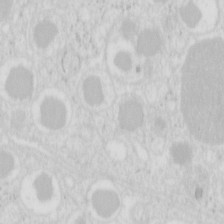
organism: Mouse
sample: Pancreas